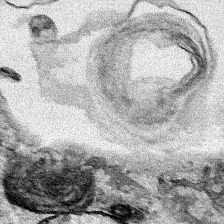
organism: Human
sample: Mitochondria in HCT116 cells